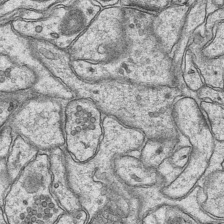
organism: Mouse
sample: CA1 Hippocampus